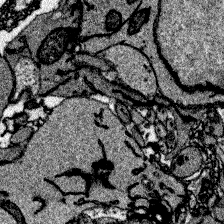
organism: Zebrafish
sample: Larval olfactory bulb